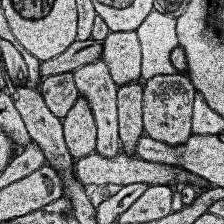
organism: Human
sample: Temporal Lobe